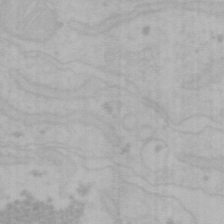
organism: Mouse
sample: Choroid plexus